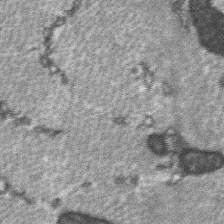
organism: C57BL Mouse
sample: Soleus